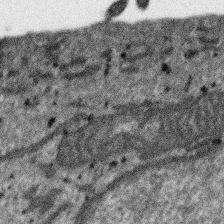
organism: Human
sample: Lung epithelial cells infected with SARS-CoV-2